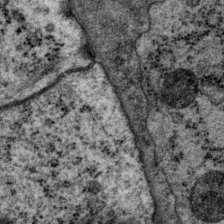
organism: P. pacificus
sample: Pharynx